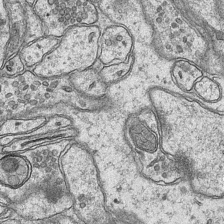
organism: Mouse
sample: CA1 Hippocampus